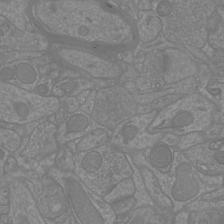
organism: Mouse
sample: Cortical neurons